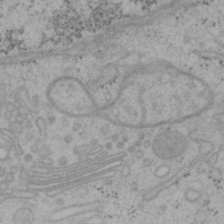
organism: Human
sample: HeLa cells